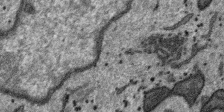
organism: Human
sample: Lung epithelial cells, uninfected (mock) control